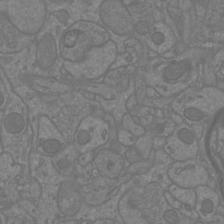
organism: Mouse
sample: Cortical neurons